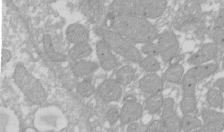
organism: Xenopus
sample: Cilia; centrioles in frog embryo cells